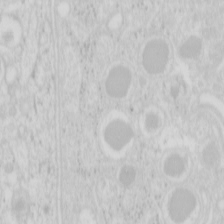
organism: Mouse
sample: Pancreas